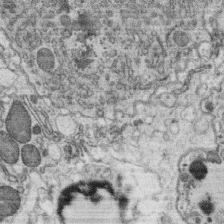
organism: C. elegans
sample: C. elegans oocyte; sperm cells